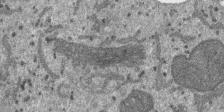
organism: Human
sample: Lung epithelial cells infected with SARS-CoV-2